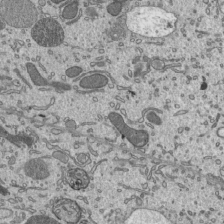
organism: Mouse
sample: Mouse epididymis efferent ductule cilia